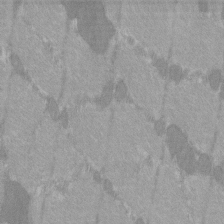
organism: C57BL Mouse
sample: Tibialis anterior muscle cell